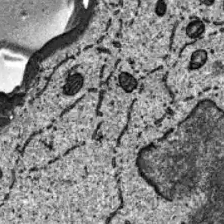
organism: Human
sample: HeLa cells